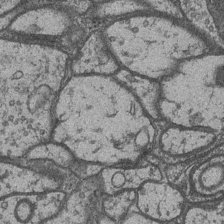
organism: Drosophila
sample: Optic medulla